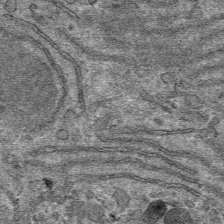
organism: Mouse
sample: Mouse hepatocytes